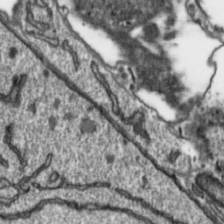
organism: Toxoplasma gondii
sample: Parasites in a vacuole inside a host cell